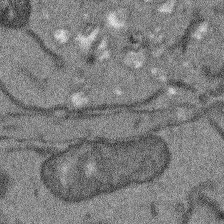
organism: Arabidopsis thaliana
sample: Root tip